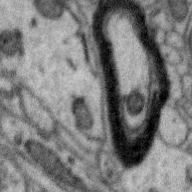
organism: Zebra finch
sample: Brain